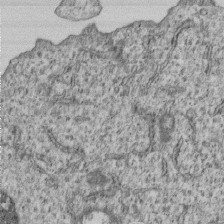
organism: Human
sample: MDA-MB-231 cells